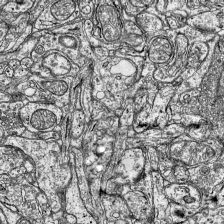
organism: Mouse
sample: Visual Cortex